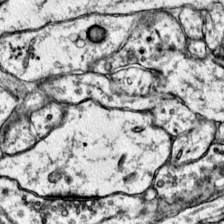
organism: Mouse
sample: Primary visual cortex